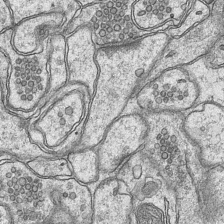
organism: Mouse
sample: CA1 Hippocampus